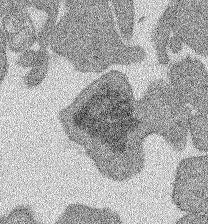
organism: Human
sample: HeLa cells